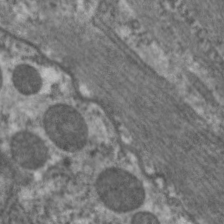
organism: C. elegans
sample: Pharynx